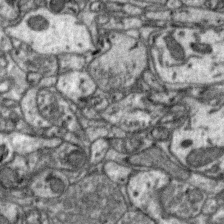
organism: Zebra finch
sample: Brain